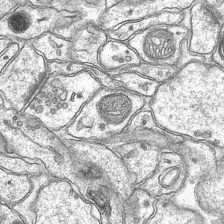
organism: Mouse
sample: CA1 Hippocampus